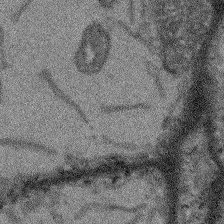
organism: Arabidopsis thaliana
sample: Root tip